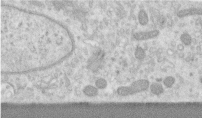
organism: Human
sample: Centriole in RPE cells